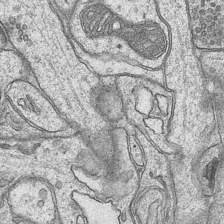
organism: Mouse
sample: CA1 Hippocampus